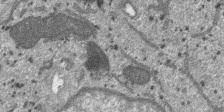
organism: Human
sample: Lung epithelial cells infected with SARS-CoV-2